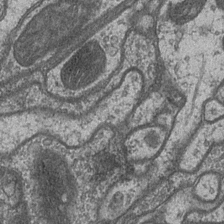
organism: Drosophila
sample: Optic medulla